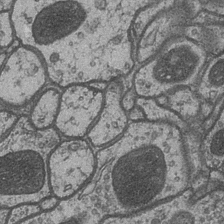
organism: Drosophila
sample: Optic medulla